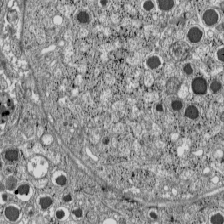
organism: C57BL Mouse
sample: Pancreatic islet